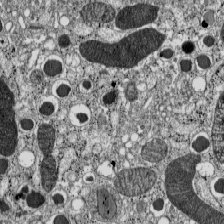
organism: C57BL Mouse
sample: Pancreatic islet